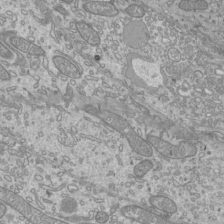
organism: Mouse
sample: Cilia; mouse epididymis